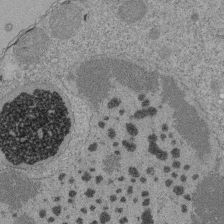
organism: Tetrahymena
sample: Cilia in tetrahymena